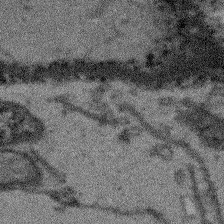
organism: Arabidopsis thaliana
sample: Root tip